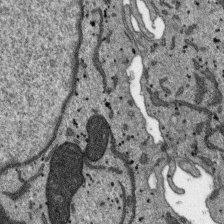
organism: Human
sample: Lung epithelial cells, uninfected (mock) control